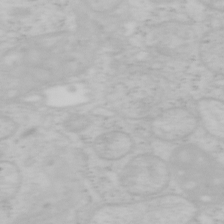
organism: Mouse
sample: OT-I killer T cells with ID8 ovarian cancer cells